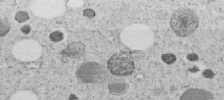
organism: C. elegans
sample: C. elegans embryo early stage